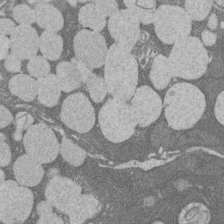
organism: Rat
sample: Salivary granule